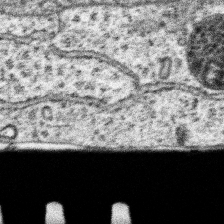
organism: Human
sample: HeLa cells